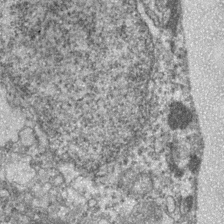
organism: Zebrafish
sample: Zebrafish embryo